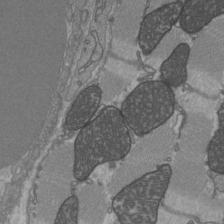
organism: C57BL Mouse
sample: Heart